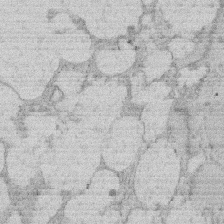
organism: Rat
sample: Salivary granule